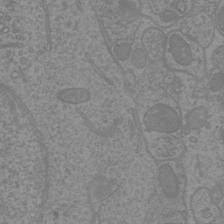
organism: Mouse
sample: Cortical neurons